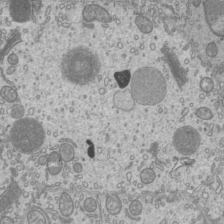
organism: Mouse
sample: Cilia; mouse epididymis